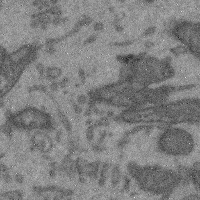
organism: Mouse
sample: Cerebral cortex